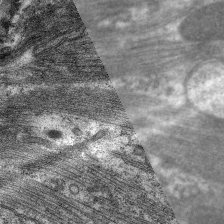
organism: C. elegans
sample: Pharynx